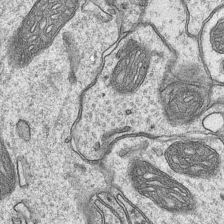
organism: Mouse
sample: CA1 Hippocampus